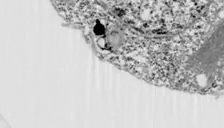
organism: Chlamydomonas reinhardtii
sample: Whole Cell